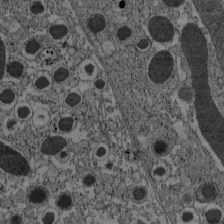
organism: C57BL Mouse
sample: Pancreatic islet